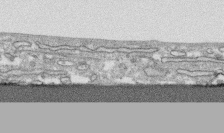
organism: Human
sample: CRL-1474